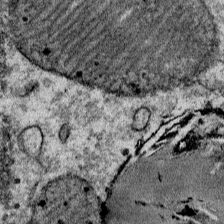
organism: Mouse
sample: Mouse Salivary gland